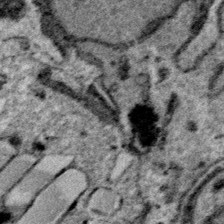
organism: Plasmodium falciparum